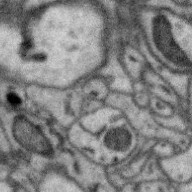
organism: Zebra finch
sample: Brain